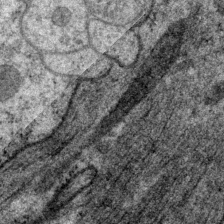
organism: P. pacificus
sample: Pharynx